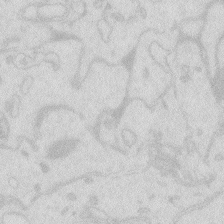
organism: Zebrafish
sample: Macrophage